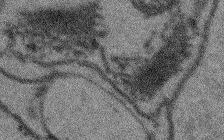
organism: Arabidopsis thaliana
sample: Root tip